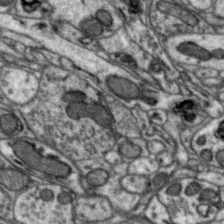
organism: Zebra finch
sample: Brain